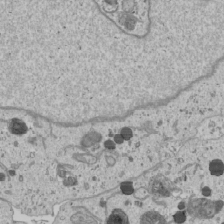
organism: Human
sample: Mitochondria in U2OS cells